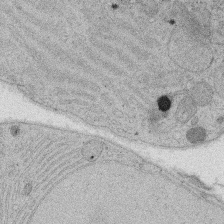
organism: Rat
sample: Salivary granule